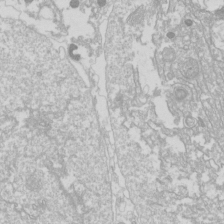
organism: Drosophila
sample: Cell division; meiosis; drosophila spermatocytes